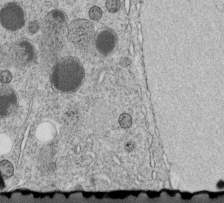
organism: C. elegans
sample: C. elegans embryo early stage